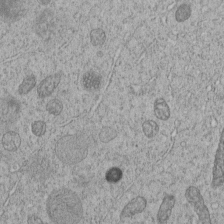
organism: C. elegans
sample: C. elegans embryo early stage